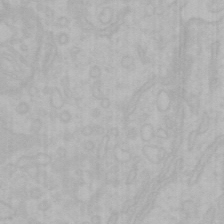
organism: Mouse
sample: Choroid plexus